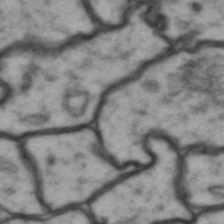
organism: Drosophila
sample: Brain